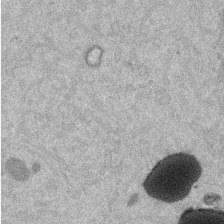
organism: Mouse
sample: Dividing mouse embryo 1 cell stage